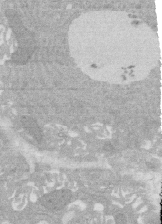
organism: Rat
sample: Salivary granule